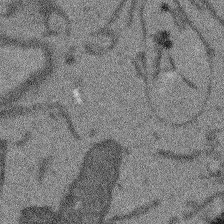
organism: Arabidopsis thaliana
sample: Root tip